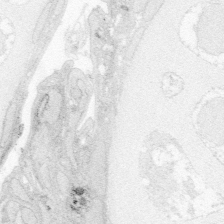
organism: Zebrafish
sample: Whole-Brain